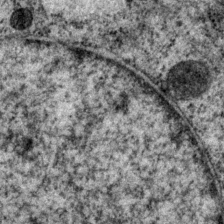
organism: P. pacificus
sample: Pharynx